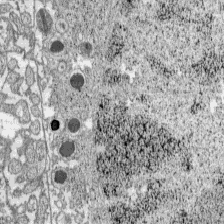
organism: C57BL Mouse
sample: Pancreatic islet